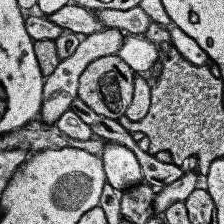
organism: Human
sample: Temporal Lobe